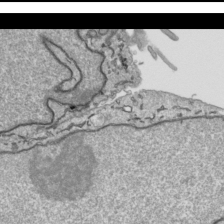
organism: Human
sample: Mitochondria in HCT116 cells